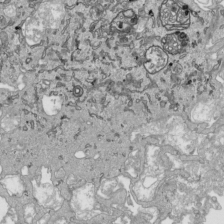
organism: Human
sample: Mitochondria in HCT116 cells